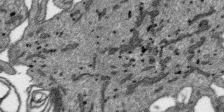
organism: Human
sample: Lung epithelial cells, uninfected (mock) control